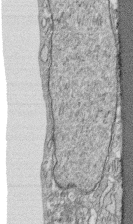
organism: Human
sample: CRL-1474